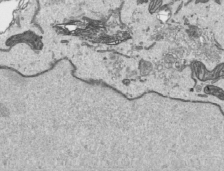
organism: Human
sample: Mitochondria in HCT116 cells